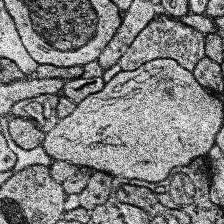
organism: Human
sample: Temporal Lobe